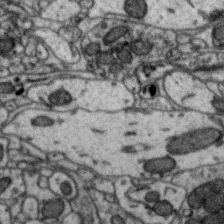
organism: Zebra finch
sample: Brain